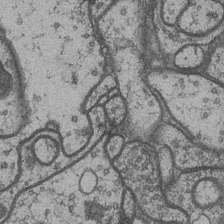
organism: Drosophila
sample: Optic medulla